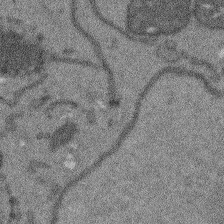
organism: Arabidopsis thaliana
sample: Root tip